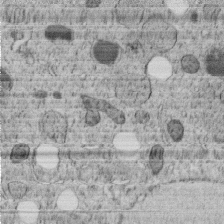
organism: C. elegans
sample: C. elegans embryo early stage